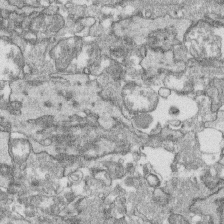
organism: Human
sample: CRL-1474